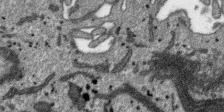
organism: Human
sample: Lung epithelial cells, uninfected (mock) control